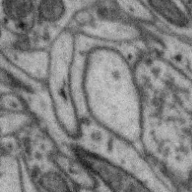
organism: Zebra finch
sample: Brain